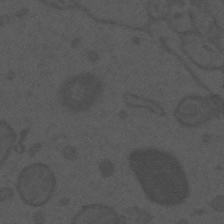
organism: Mouse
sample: Suprachiasmatic nucleus